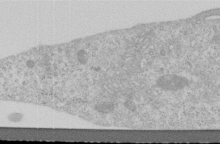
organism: Human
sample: Centriole in RPE cells